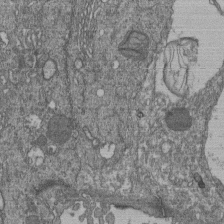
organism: Human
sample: Retinal organoid Rod and Cone cells